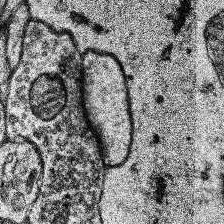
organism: Human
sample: Temporal Lobe